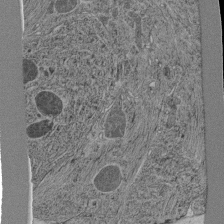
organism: C. elegans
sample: C. elegans pharynx